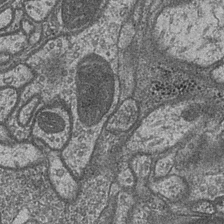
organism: Drosophila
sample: Optic medulla